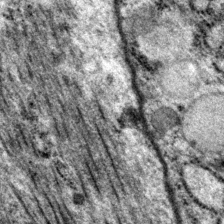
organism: P. pacificus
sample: Pharynx